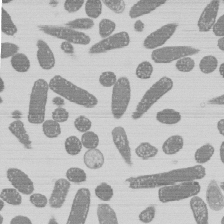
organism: E. coli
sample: Bacterial nucleoid